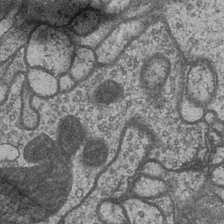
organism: Drosophila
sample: Optic medulla